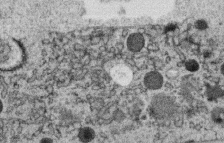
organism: C. elegans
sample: C. elegans oocyte; sperm cells